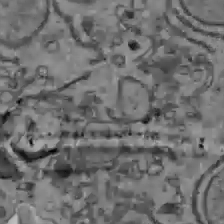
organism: C57BL Mouse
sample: Liver